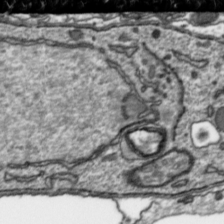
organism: Toxoplasma gondii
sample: Parasites in a vacuole inside a host cell